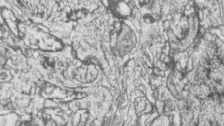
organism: Zebrafish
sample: synaptic ribbons in rod cells and cone cells